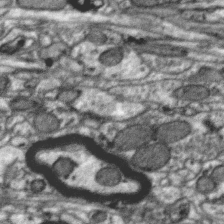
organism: Zebra finch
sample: Brain